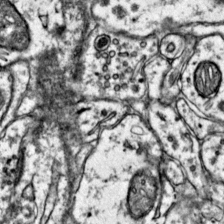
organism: Mouse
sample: Primary visual cortex